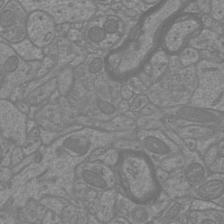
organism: Mouse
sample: Cortical neurons